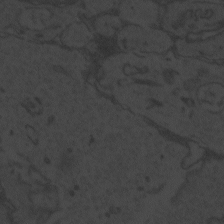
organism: Zebrafish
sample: Macrophage infected with Toxoplasma gondii